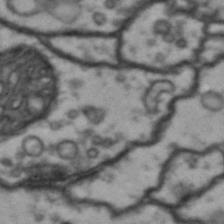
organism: Drosophila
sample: Brain